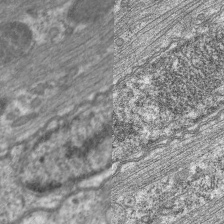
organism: C. elegans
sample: Pharynx